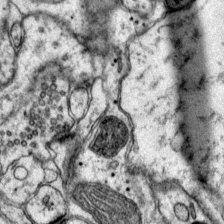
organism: Mouse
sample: Primary visual cortex